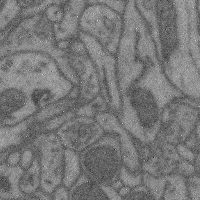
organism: Mouse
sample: Cerebral cortex